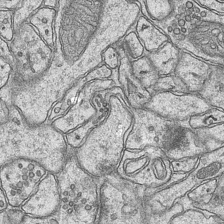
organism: Mouse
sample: CA1 Hippocampus